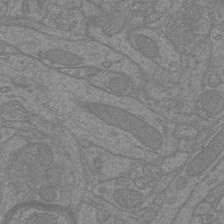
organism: Mouse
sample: Cortical neurons